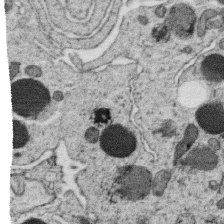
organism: C. elegans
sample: C. elegans oocyte; sperm cells